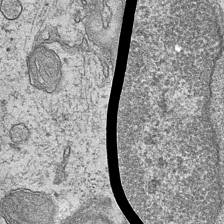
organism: Mouse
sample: CA1 Hippocampus